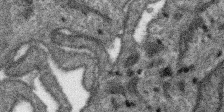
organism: Human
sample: Lung epithelial cells infected with SARS-CoV-2